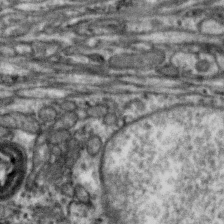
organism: Zebra finch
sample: Brain